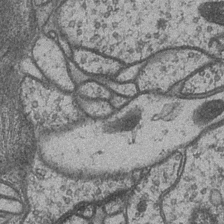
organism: Drosophila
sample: Optic medulla